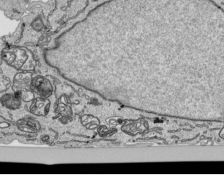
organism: Human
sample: Mitochondria in HCT116 cells